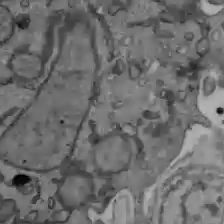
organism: C57BL Mouse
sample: Liver